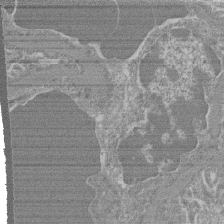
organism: Mouse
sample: Glomerulus